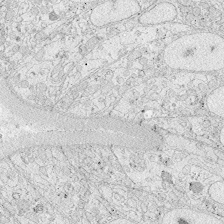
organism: Zebrafish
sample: Whole-Brain